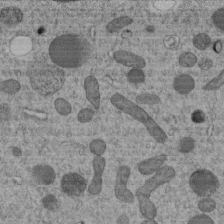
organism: C. elegans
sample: C. elegans embryo early stage